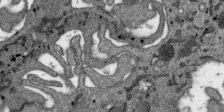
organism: Human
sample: Lung epithelial cells, uninfected (mock) control